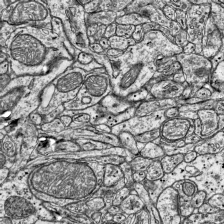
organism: Mouse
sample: Visual Cortex